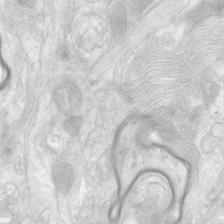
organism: Human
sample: Neocortex